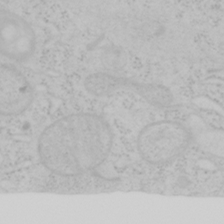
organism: Mouse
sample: OT-I killer T cells with ID8 ovarian cancer cells